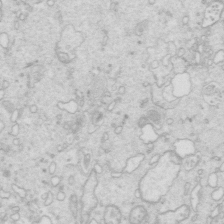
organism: Mouse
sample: Multiciliated cells